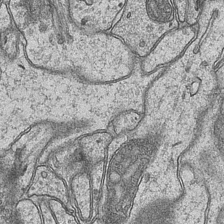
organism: Mouse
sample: CA1 Hippocampus